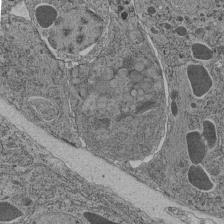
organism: C. elegans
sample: C. elegans pharynx